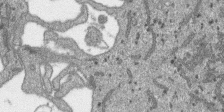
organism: Human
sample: Lung epithelial cells infected with SARS-CoV-2